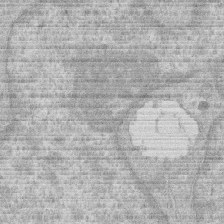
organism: Human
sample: Macrophage cells